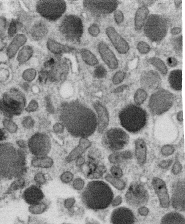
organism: C. elegans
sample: C. elegans oocyte; sperm cells